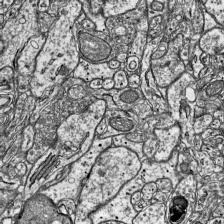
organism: Mouse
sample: Visual Cortex